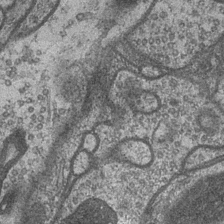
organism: Drosophila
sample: Optic medulla